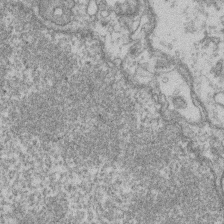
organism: Mouse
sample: T cell stromal cell synapse